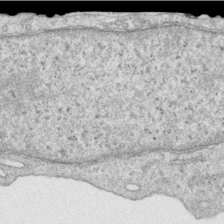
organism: Human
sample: Centriole in RPE cells